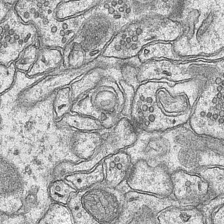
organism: Mouse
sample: CA1 Hippocampus